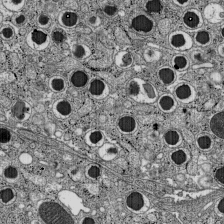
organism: C57BL Mouse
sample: Pancreatic islet